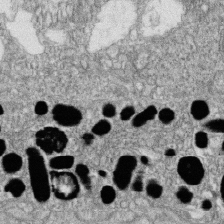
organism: Zebrafish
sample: Cilia; retinal pigment epithelium